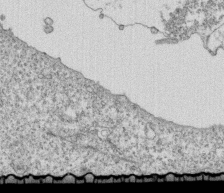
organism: Human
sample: HeLa cell HIV synapse